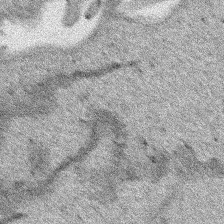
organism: Human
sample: Mitochondria in HCT116 cells